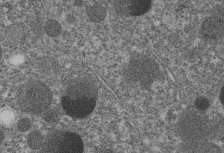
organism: C. elegans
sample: C. elegans embryo early stage